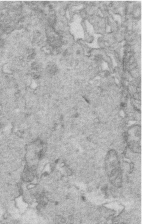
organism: Mouse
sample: Multiciliated cells